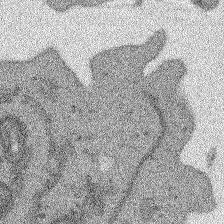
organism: Human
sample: HeLa cells